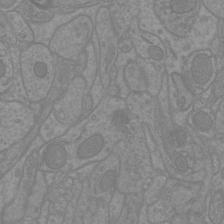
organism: Mouse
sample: Cortical neurons